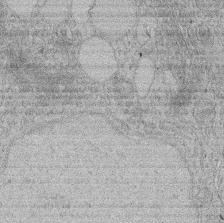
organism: Rat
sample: Salivary granule